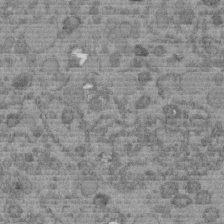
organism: C. elegans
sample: C. elegans embryo early stage